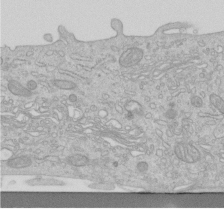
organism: Human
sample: Centriole in RPE cells